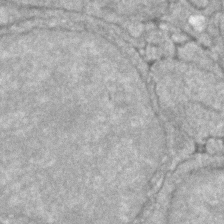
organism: Zebrafish